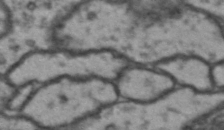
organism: Drosophila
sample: Brain